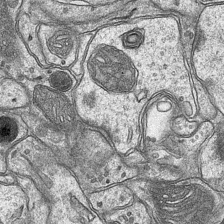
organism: Mouse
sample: CA1 Hippocampus